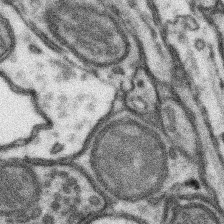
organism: Mouse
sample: Somatosensory cortex neuropil